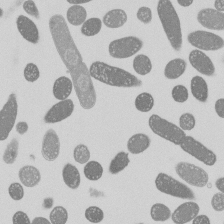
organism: E. coli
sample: Bacterial nucleoid